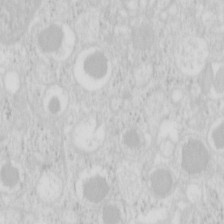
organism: Mouse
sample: Pancreas